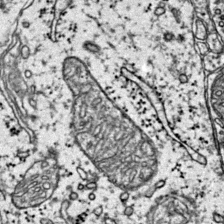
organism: Mouse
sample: Primary visual cortex